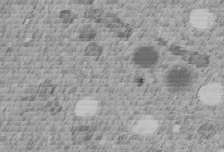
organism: C. elegans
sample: C. elegans embryo early stage